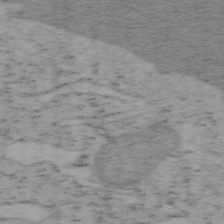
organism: Mouse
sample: OT-I killer T cells with ID8 ovarian cancer cells